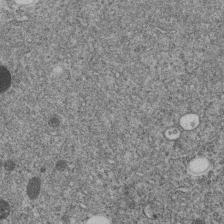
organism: C. elegans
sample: C. elegans embryo early stage